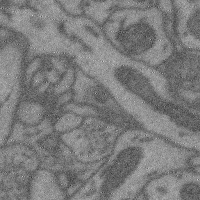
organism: Mouse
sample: Cerebral cortex